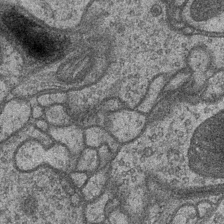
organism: Drosophila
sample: Optic medulla